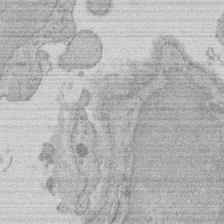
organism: Rat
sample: Salivary granule